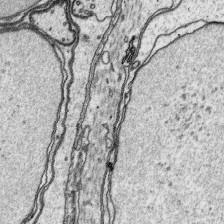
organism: Platynereis dumerilii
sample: Parapodia